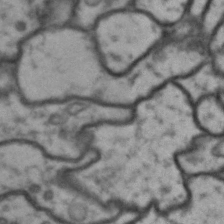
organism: Drosophila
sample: Brain